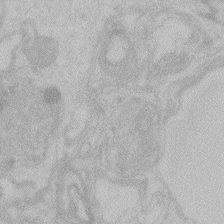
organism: Zebrafish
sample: Macrophage infected with Toxoplasma gondii